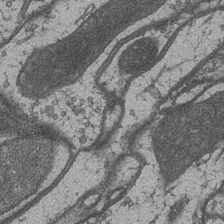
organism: Drosophila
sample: Optic medulla